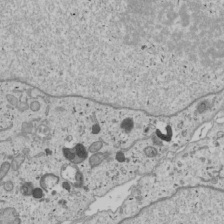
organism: Human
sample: Mitochondria in U2OS cells